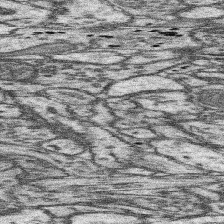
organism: Mouse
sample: Somatosensory cortex neuropil